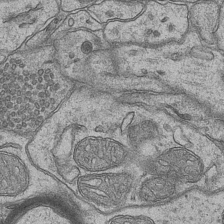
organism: Mouse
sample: CA1 Hippocampus